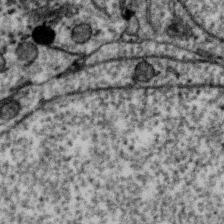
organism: Zebra finch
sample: Brain